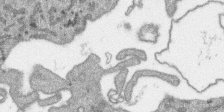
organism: Human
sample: Lung epithelial cells infected with SARS-CoV-2